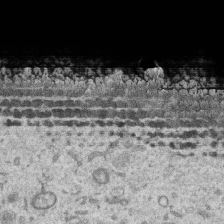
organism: Human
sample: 1205lu cells